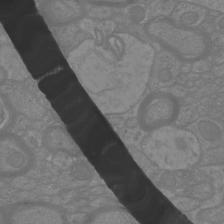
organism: Mouse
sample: Cortical neurons